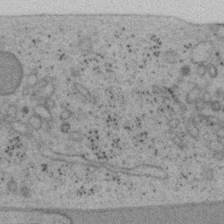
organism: Human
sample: HeLa cells